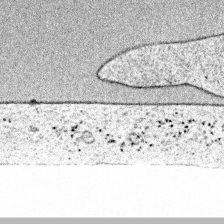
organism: Human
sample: HeLa cells